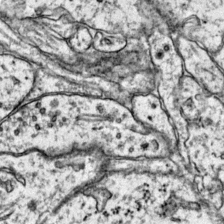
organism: Mouse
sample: Primary visual cortex